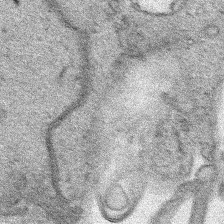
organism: Human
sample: Mitochondria in HCT116 cells